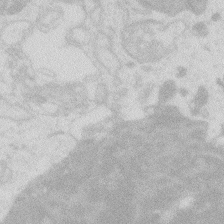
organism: Zebrafish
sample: Macrophage